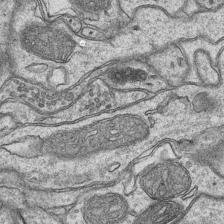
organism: Mouse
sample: CA1 Hippocampus